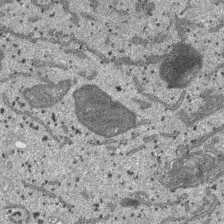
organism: Human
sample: Lung epithelial cells infected with SARS-CoV-2